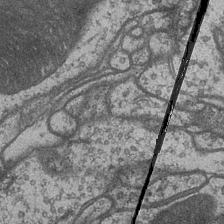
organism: Drosophila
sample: Optic medulla